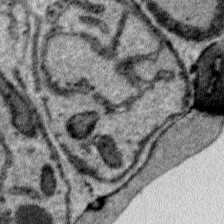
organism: Plasmodium falciparum